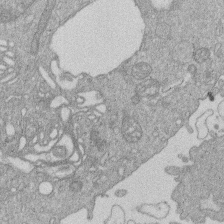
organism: Human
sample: Macrophage cells